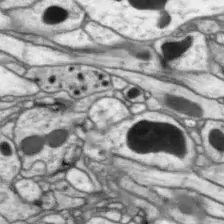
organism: Drosophila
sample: Optic lobe